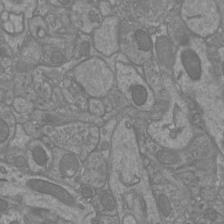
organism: Mouse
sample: Cortical neurons